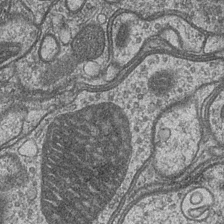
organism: Drosophila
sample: Optic medulla